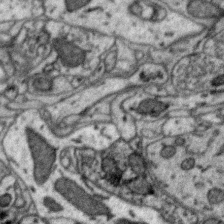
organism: Zebra finch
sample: Brain